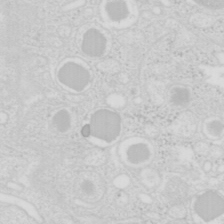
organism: Mouse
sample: Pancreas